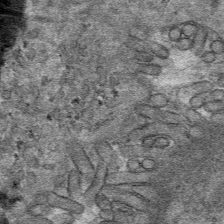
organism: Mouse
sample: Mouse hepatocytes